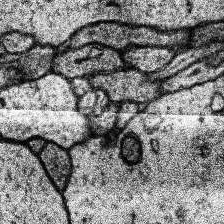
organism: Human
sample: Temporal Lobe